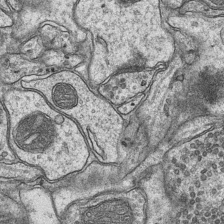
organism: Mouse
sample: CA1 Hippocampus